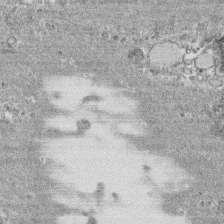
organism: Human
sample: CRL-1474